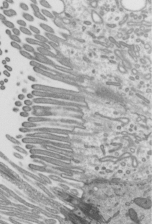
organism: Mouse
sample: Mouse epididymis efferent ductule cilia